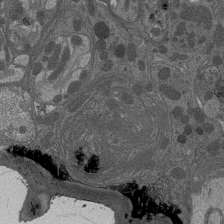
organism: Drosophila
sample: Antenna